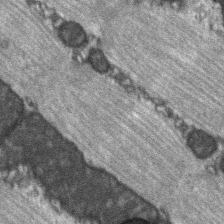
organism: C57BL Mouse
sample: Soleus